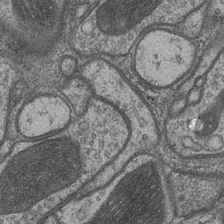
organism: Drosophila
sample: Optic medulla